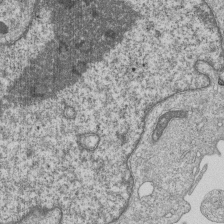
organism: Human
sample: MDA-MB-231 cells